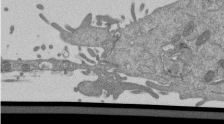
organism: Mouse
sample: ED-1 cell nuclei; centrioles